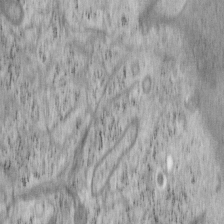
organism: Human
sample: HeLa cells